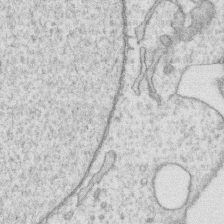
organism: Human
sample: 1205lu cells